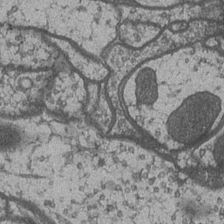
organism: Drosophila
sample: Optic medulla